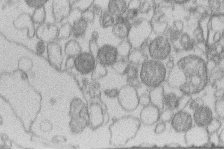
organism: Human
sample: Macrophage cells